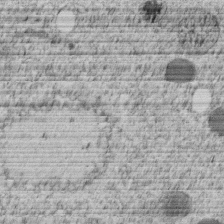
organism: C. elegans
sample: C. elegans embryo early stage